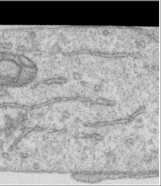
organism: Human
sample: Centriole in RPE cells